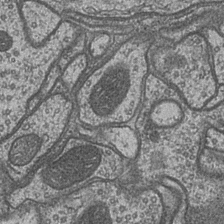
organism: Drosophila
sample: Optic medulla